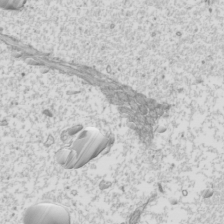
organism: Mouse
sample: Cilia; mouse epididymis